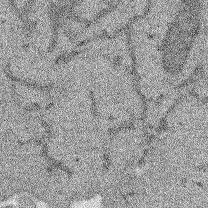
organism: Human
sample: HeLa cells